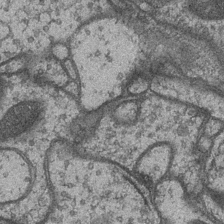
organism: Drosophila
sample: Optic medulla